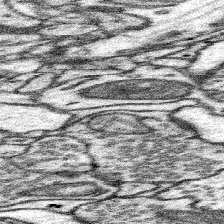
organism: Mouse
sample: Somatosensory cortex neuropil